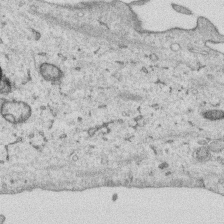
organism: Human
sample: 1205lu cells